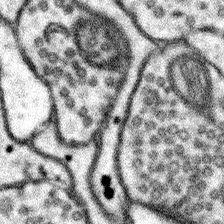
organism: Mouse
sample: Somatosensory cortex neuropil